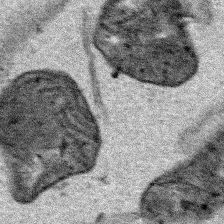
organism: Human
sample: Mitochondria in HCT116 cells